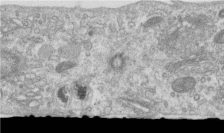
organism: Human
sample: Centriole in RPE cells